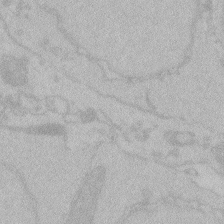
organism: Zebrafish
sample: Macrophage infected with Toxoplasma gondii